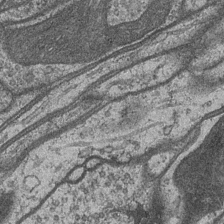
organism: Drosophila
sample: Optic medulla